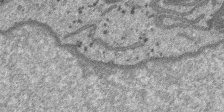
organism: Human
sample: Lung epithelial cells infected with SARS-CoV-2